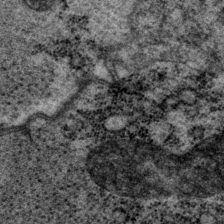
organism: P. pacificus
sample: Pharynx